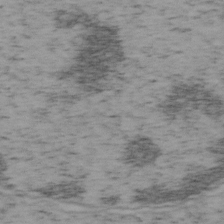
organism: Mouse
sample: OT-I killer T cells with ID8 ovarian cancer cells